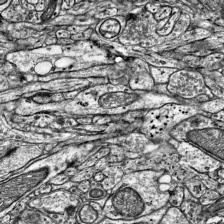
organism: Mouse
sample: Visual Cortex